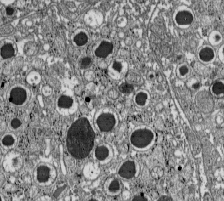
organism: C57BL Mouse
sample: Pancreatic islet